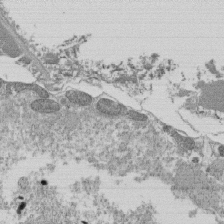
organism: Tetrahymena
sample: Cilia in tetrahymena